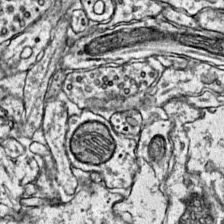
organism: Mouse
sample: Primary visual cortex